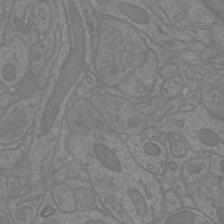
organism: Mouse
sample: Cortical neurons